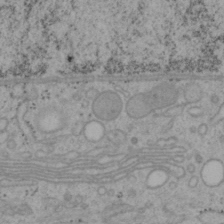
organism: Human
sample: HeLa cells